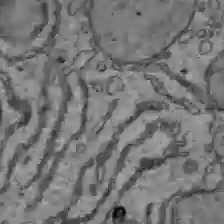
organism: C57BL Mouse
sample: Liver